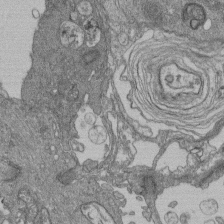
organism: Human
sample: Retinal organoid Rod and Cone cells